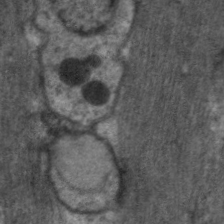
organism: C. elegans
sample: Pharynx